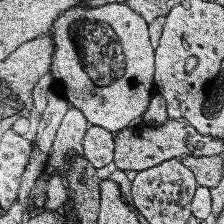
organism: Human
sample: Temporal Lobe